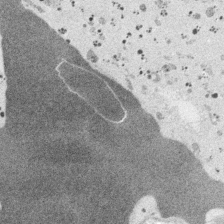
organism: Embia sp.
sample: Silk gland